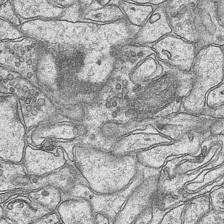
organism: Mouse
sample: CA1 Hippocampus